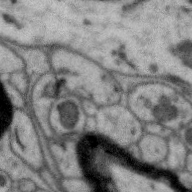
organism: Zebra finch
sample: Brain